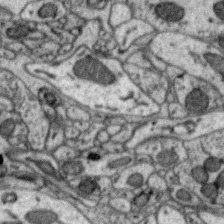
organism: Zebra finch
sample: Brain